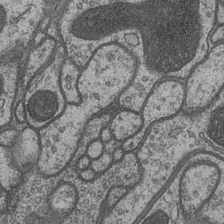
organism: Drosophila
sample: Optic medulla